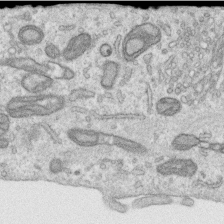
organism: Human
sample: Centriole in RPE cells